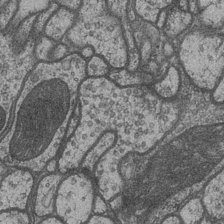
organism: Drosophila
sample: Optic medulla